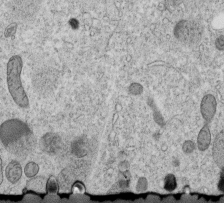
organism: C. elegans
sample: C. elegans embryo early stage